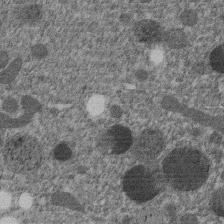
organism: C. elegans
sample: C. elegans embryo early stage